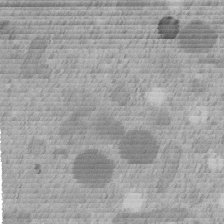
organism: C. elegans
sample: C. elegans embryo early stage